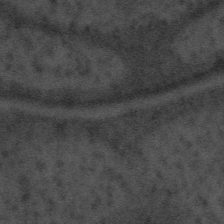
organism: Tuwongella immobilis